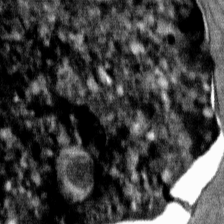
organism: Mouse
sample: Mouse Salivary gland